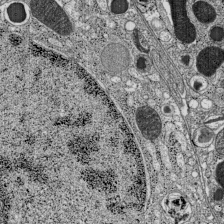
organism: C57BL Mouse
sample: Pancreatic islet